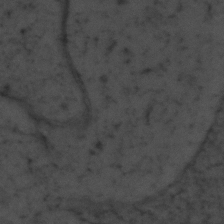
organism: Zebrafish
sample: Zebrafish embryo